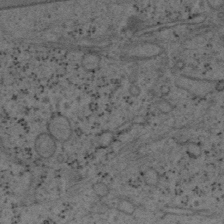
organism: Human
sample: HeLa cells